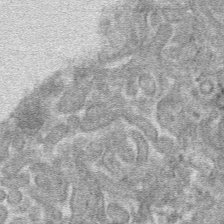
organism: Mouse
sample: Mouse hepatocytes